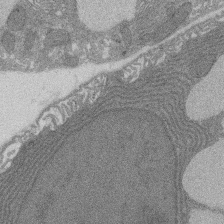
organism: Rat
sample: Salivary granule